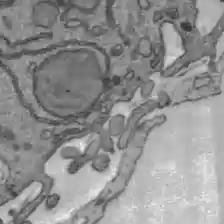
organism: C57BL Mouse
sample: Liver